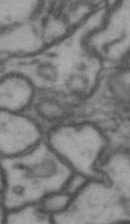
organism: Drosophila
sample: Brain